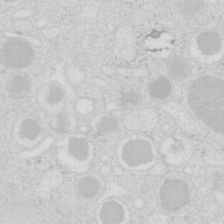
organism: Mouse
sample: Pancreas